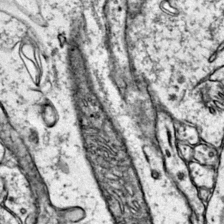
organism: Mouse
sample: Primary visual cortex